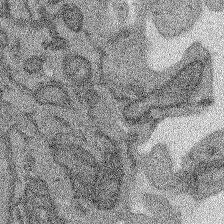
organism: Human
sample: HeLa cells